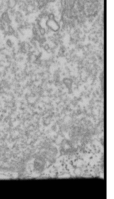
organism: Drosophila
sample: Cell division; meiosis; drosophila spermatocytes